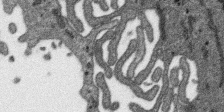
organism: Human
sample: Lung epithelial cells infected with SARS-CoV-2